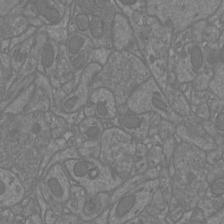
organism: Mouse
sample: Cortical neurons